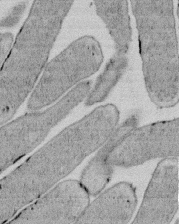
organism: E. coli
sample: Bacterial nucleoid